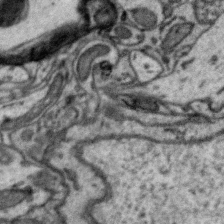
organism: Zebra finch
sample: Brain